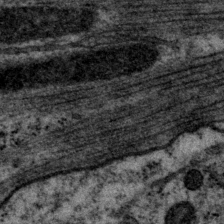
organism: P. pacificus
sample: Pharynx